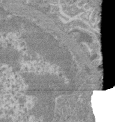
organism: Mouse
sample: Glomerulus